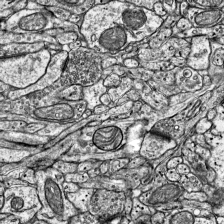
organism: Mouse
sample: Visual Cortex